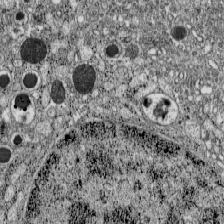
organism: C57BL Mouse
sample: Pancreatic islet